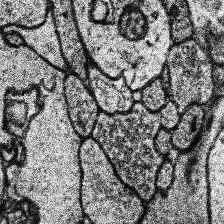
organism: Human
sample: Temporal Lobe